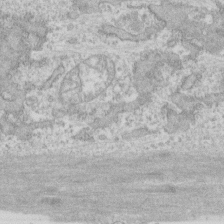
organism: Human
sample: CRL-1474